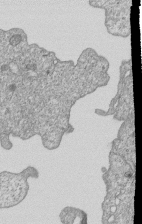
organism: Human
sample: MDA-MB-231 cells